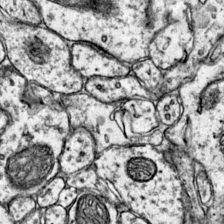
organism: Mouse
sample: Primary visual cortex